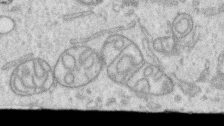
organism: Human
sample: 1205lu cells